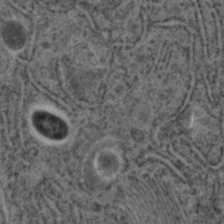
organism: C. elegans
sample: C. elegans embryo